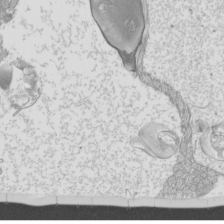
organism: Mouse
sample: Cilia; mouse epididymis